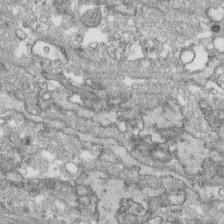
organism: Human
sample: CRL-1474